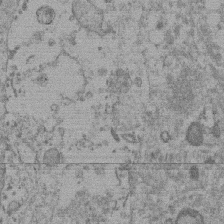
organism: Mouse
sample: Dividing mouse embryo 1 cell stage